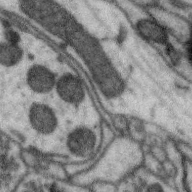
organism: Zebra finch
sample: Brain